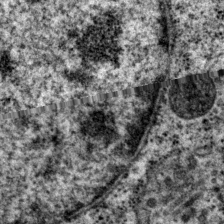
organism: P. pacificus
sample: Pharynx